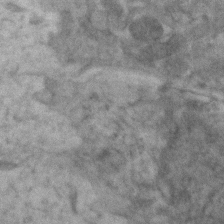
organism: Zebrafish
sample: Zebrafish embryo